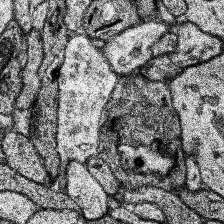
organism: Human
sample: Temporal Lobe